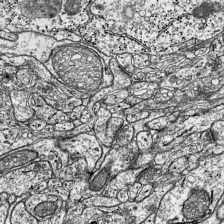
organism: Mouse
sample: Visual Cortex